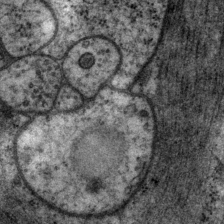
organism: P. pacificus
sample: Pharynx